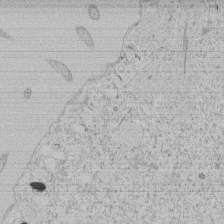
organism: Tetrahymena